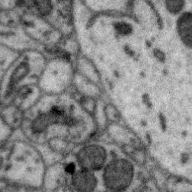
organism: Zebra finch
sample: Brain